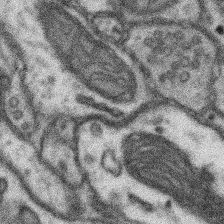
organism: Mouse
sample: Somatosensory cortex neuropil